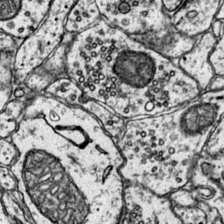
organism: Mouse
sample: Primary visual cortex